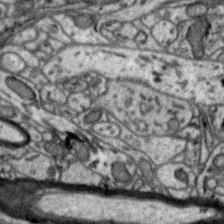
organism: Zebra finch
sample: Brain